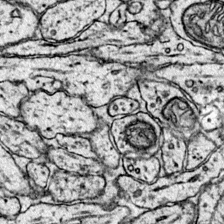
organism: Mouse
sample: Primary visual cortex